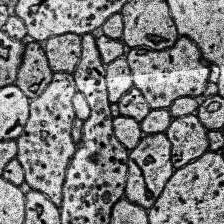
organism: Human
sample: Temporal Lobe